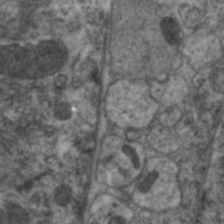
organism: C. elegans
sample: Pharynx